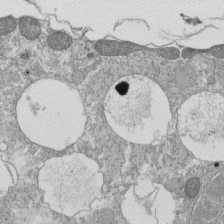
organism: Tetrahymena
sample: Cilia in tetrahymena